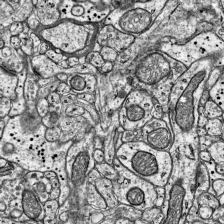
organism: Mouse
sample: Visual Cortex